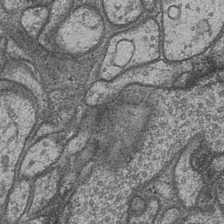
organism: Drosophila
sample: Optic medulla